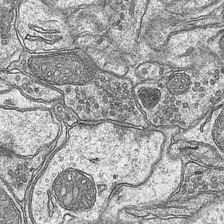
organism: Mouse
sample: CA1 Hippocampus